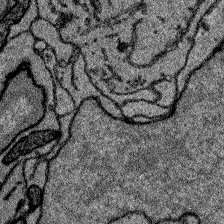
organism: Zebrafish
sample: Larval olfactory bulb